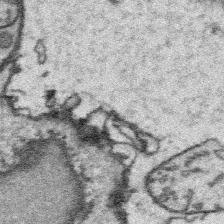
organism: Platynereis dumerilii